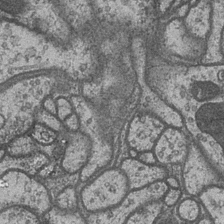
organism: Drosophila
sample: Optic medulla